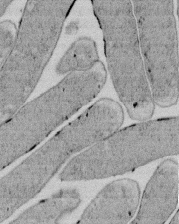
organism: E. coli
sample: Bacterial nucleoid